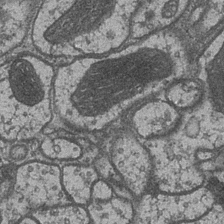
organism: Drosophila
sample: Optic medulla